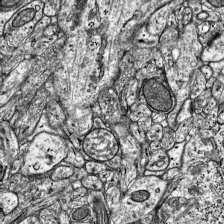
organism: Mouse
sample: Visual Cortex